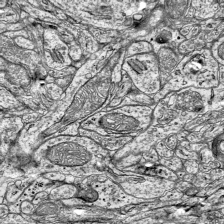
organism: Mouse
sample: Visual Cortex